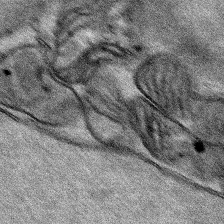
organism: Human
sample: Mitochondria in HCT116 cells